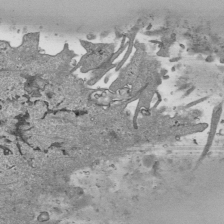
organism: Human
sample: Mitochondria in HCT116 cells